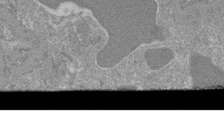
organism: Mouse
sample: Glomerulus